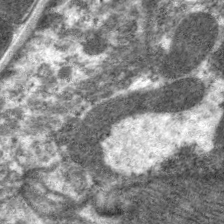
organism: C. elegans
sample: Pharynx